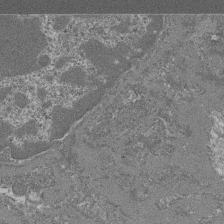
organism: Mouse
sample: Glomerulus